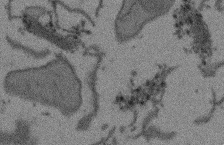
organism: Arabidopsis thaliana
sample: Root tip